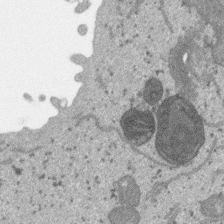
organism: Human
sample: Lung epithelial cells infected with SARS-CoV-2